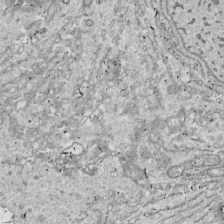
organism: Drosophila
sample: Cell division; meiosis; drosophila spermatocytes